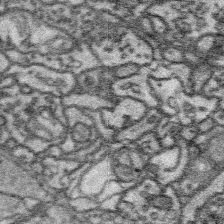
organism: Platynereis dumerilii